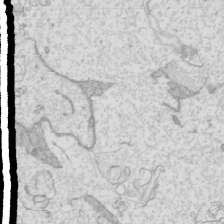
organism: Mouse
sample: Cilia; mouse epididymis